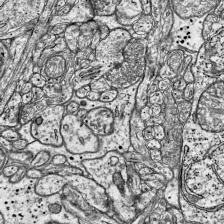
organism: Mouse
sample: Visual Cortex